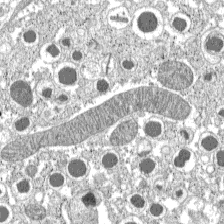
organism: C57BL Mouse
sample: Pancreatic islet